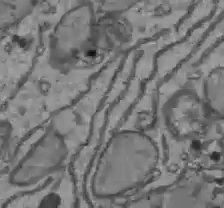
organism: C57BL Mouse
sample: Liver